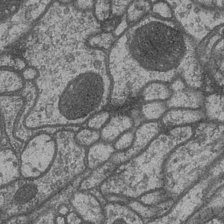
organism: Drosophila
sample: Optic medulla